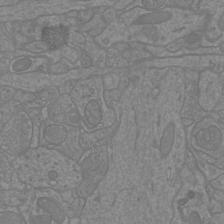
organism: Mouse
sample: Cortical neurons